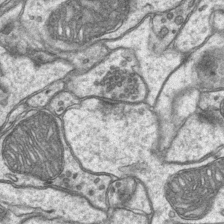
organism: Mouse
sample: CA1 Hippocampus